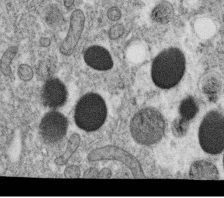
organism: C. elegans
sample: C. elegans oocyte; sperm cells